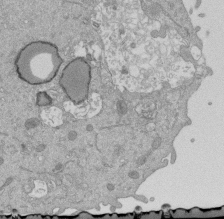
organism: Mouse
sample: ED-1 cell nuclei; centrioles